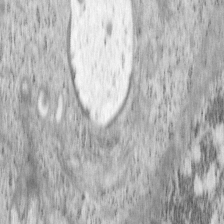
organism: Human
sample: HeLa cells